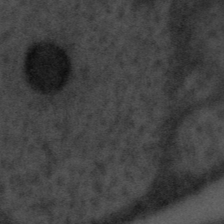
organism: Tuwongella immobilis